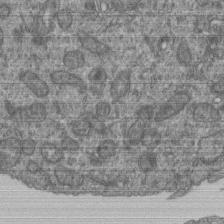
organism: Human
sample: Retinal organoid Rod and Cone cells